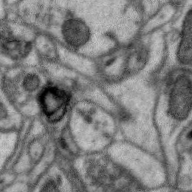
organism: Zebra finch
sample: Brain